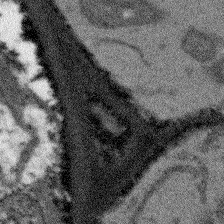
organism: Arabidopsis thaliana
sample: Root tip